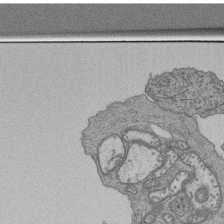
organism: Human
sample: Retinal organoid Rod and Cone cells